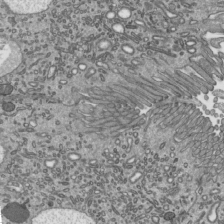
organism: Mouse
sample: Mouse epididymis efferent ductule cilia